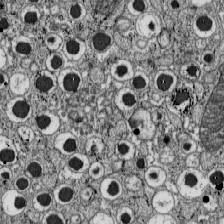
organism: C57BL Mouse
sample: Pancreatic islet